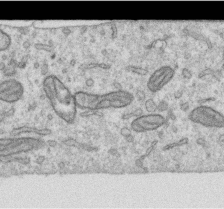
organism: Human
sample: Centriole in RPE cells